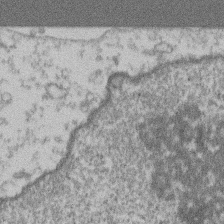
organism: Mouse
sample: T cell stromal cell synapse